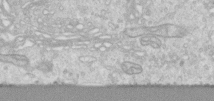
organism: Human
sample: Centriole in RPE cells